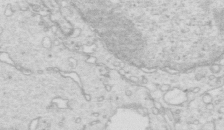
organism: Mouse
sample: Multiciliated cells